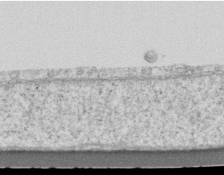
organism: Mouse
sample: Centriole in ependymal cells